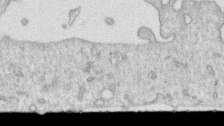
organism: Human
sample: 1205lu cells